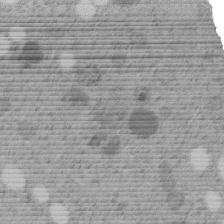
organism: C. elegans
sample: C. elegans embryo early stage